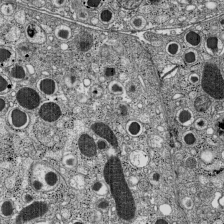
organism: C57BL Mouse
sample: Pancreatic islet